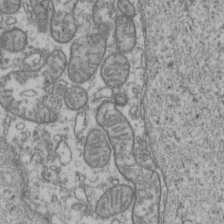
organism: Human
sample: Activated Jurkat CD4+ T cells